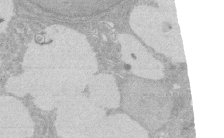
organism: Rat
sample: Salivary granule